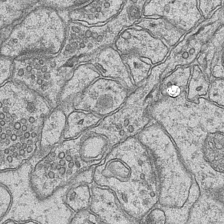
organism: Mouse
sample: CA1 Hippocampus